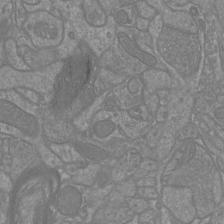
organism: Mouse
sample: Cortical neurons